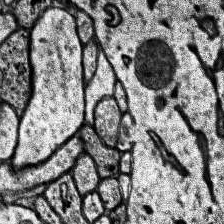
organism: Human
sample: Temporal Lobe